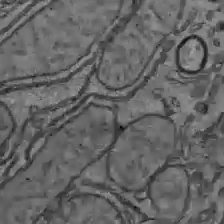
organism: C57BL Mouse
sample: Liver